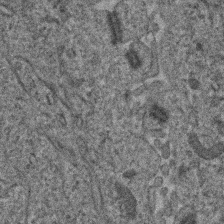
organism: Human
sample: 1205lu cells